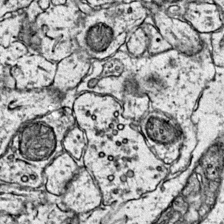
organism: Mouse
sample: Primary visual cortex